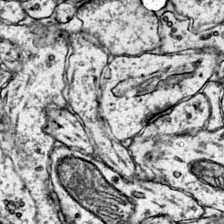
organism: Mouse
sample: Primary visual cortex